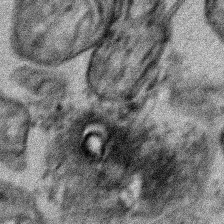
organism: Human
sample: Mitochondria in HCT116 cells